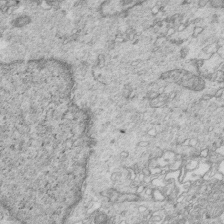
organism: Mouse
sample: Multiciliated cells